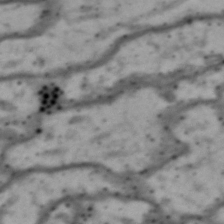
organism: Drosophila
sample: Brain